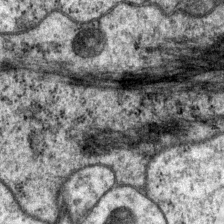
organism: P. pacificus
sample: Pharynx